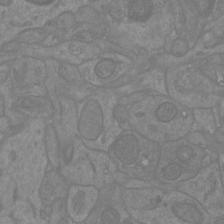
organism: Mouse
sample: Cortical neurons